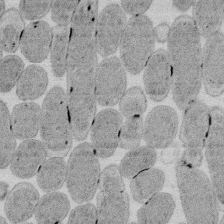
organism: E. coli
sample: Bacterial nucleoid